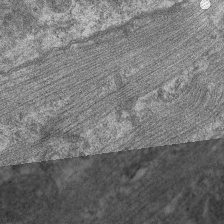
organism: C. elegans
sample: Pharynx